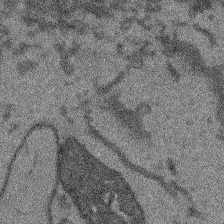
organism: Arabidopsis thaliana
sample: Root tip